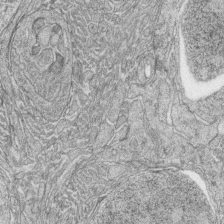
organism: Zebrafish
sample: synaptic ribbons in rod cells and cone cells